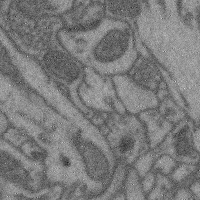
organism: Mouse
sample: Cerebral cortex